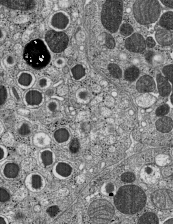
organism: C57BL Mouse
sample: Pancreatic islet